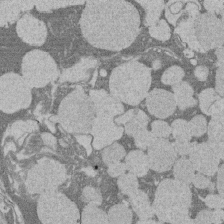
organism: Rat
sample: Salivary granule